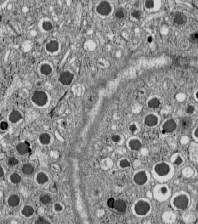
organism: C57BL Mouse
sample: Pancreatic islet